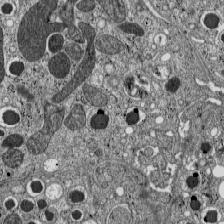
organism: C57BL Mouse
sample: Pancreatic islet